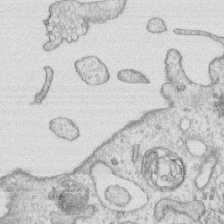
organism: Human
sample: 1205lu cells